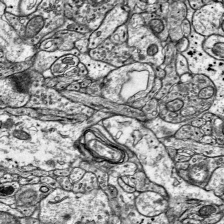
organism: Mouse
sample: Visual Cortex